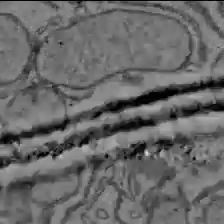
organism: C57BL Mouse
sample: Liver